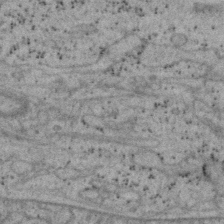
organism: Human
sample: HeLa cells